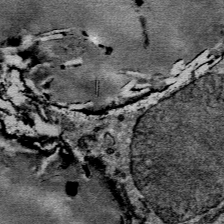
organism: Mouse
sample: Mouse Salivary gland